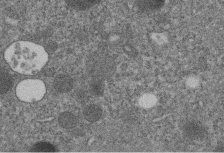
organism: C. elegans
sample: C. elegans embryo early stage